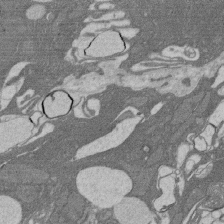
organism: Rat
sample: Salivary granule